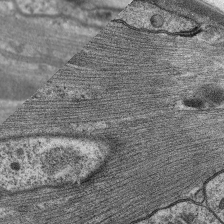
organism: C. elegans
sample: Pharynx